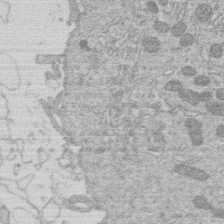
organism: Human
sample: Macrophage cells